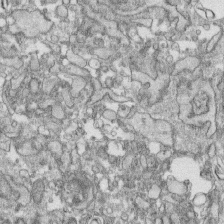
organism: Human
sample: CRL-1474